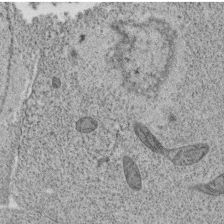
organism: C. elegans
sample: C. elegans oocyte; sperm cells